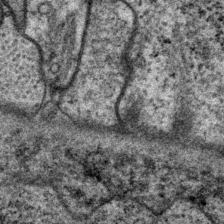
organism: P. pacificus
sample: Pharynx